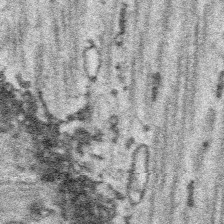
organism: Platynereis dumerilii